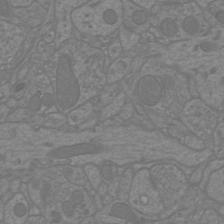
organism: Mouse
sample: Cortical neurons